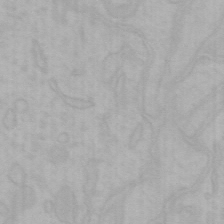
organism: Mouse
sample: Choroid plexus